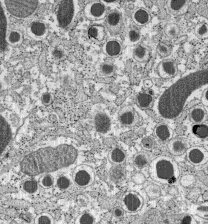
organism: C57BL Mouse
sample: Pancreatic islet